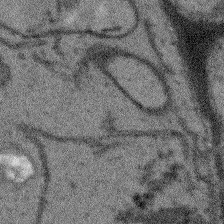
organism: Arabidopsis thaliana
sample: Root tip